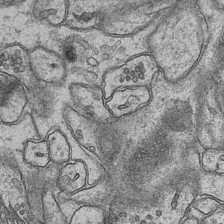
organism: Mouse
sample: CA1 Hippocampus